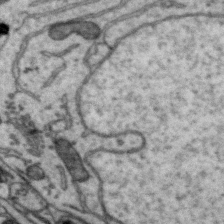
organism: Zebra finch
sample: Brain